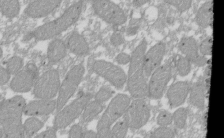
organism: Xenopus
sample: Cilia; centrioles in frog embryo cells